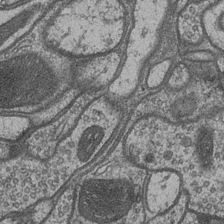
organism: Drosophila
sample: Optic medulla